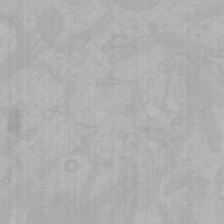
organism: Mouse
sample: Choroid plexus